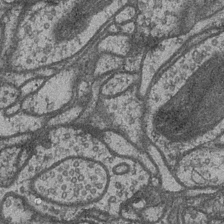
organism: Drosophila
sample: Optic medulla